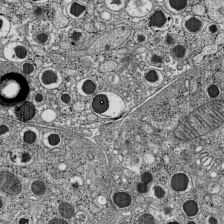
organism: C57BL Mouse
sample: Pancreatic islet